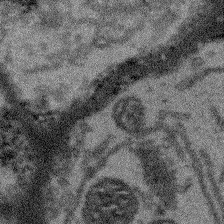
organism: Arabidopsis thaliana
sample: Root tip